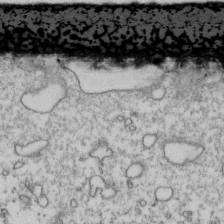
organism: Human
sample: Activated Jurkat CD4+ T cells